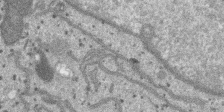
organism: Human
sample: Lung epithelial cells infected with SARS-CoV-2